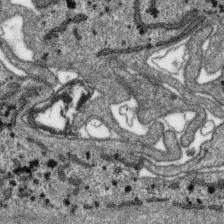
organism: Human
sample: Lung epithelial cells infected with SARS-CoV-2